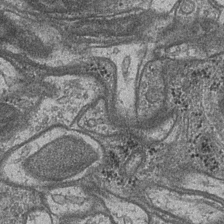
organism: Drosophila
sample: Optic medulla